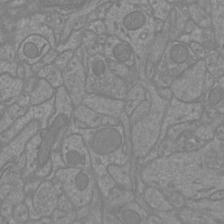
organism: Mouse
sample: Cortical neurons